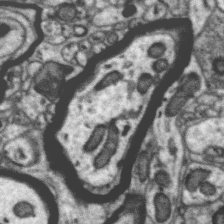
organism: Zebra finch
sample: Brain